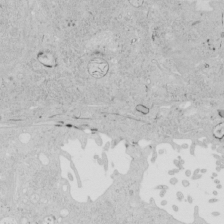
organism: Human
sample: Mitochondria in HCT116 cells